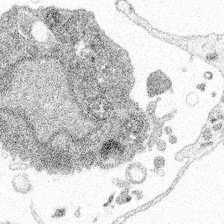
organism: Spongilla lacustris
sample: Multiple